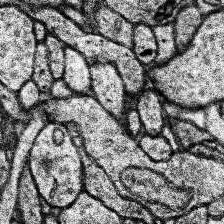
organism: Human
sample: Temporal Lobe